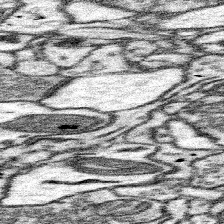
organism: Mouse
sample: Somatosensory cortex neuropil